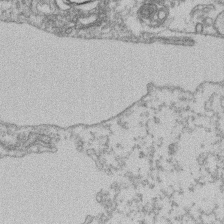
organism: Mouse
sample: T cell stromal cell synapse